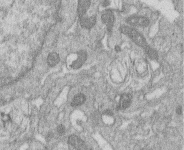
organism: Human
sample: Macrophage cells